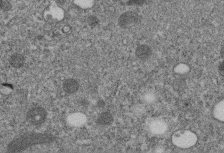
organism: C. elegans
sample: C. elegans embryo early stage